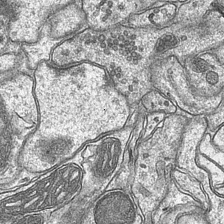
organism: Mouse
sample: CA1 Hippocampus